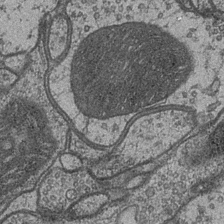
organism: Drosophila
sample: Optic medulla